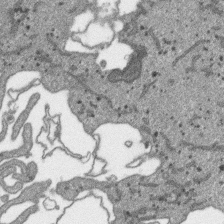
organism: Human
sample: Lung epithelial cells infected with SARS-CoV-2